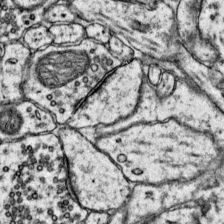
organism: Mouse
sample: Primary visual cortex